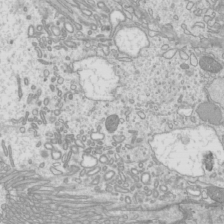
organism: Mouse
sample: Cilia; mouse epididymis